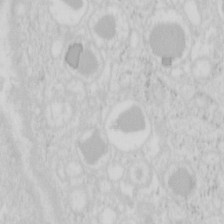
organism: Mouse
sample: Pancreas